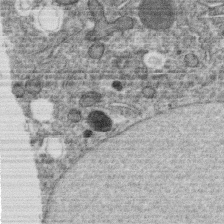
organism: C. elegans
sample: C. elegans oocyte; sperm cells